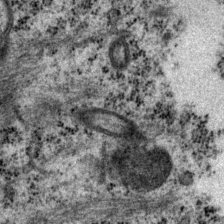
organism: P. pacificus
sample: Pharynx